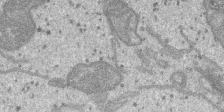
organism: Human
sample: Lung epithelial cells infected with SARS-CoV-2